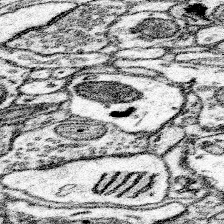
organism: Mouse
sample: Somatosensory cortex neuropil